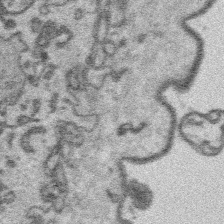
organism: Platynereis dumerilii